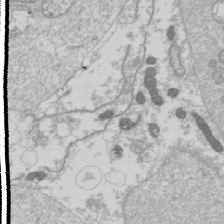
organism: Drosophila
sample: Cell division; meiosis; drosophila spermatocytes